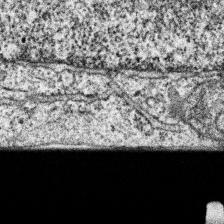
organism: Human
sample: HeLa cells